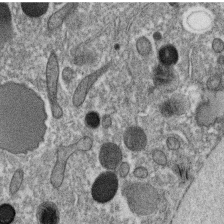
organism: C. elegans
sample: C. elegans oocyte; sperm cells